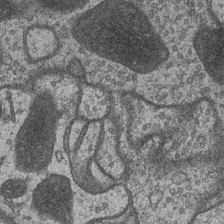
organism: Drosophila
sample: Optic medulla